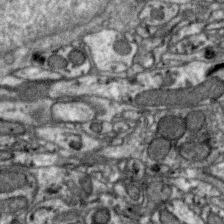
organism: Zebra finch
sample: Brain